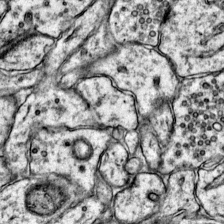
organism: Mouse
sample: Primary visual cortex